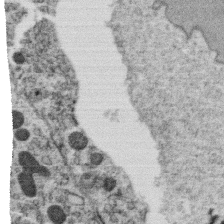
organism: C. elegans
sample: C. elegans oocyte; sperm cells